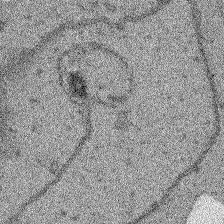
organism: Human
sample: HeLa cells